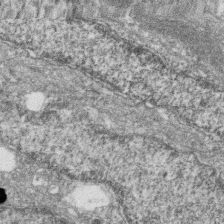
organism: Zebrafish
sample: Cilia; retinal pigment epithelium